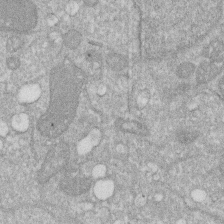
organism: Human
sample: HIV infected U937 cells